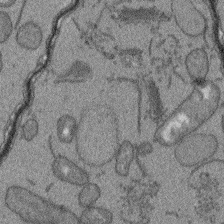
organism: Arabidopsis thaliana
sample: Root tip